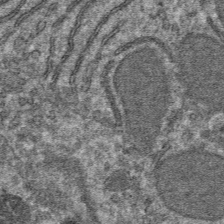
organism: Mouse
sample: Mouse hepatocytes